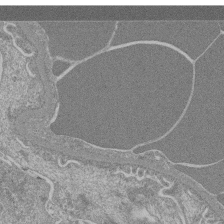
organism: Mouse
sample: Glomerulus